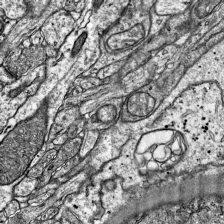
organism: Mouse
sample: Visual Cortex